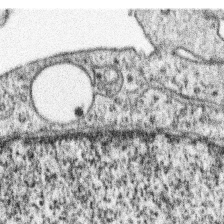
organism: Human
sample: HeLa cells